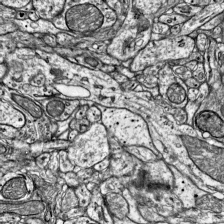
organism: Mouse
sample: Visual Cortex